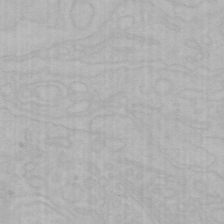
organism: Mouse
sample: Choroid plexus